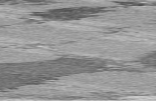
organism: C57BL Mouse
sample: Heart